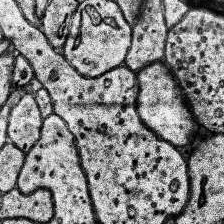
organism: Human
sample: Temporal Lobe